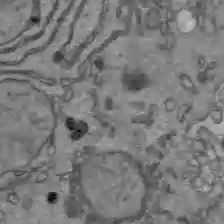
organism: C57BL Mouse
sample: Liver